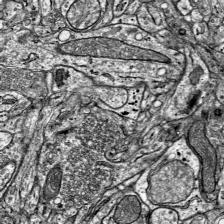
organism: Mouse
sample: Visual Cortex